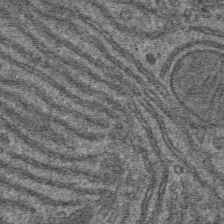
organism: Mouse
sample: Mouse hepatocytes